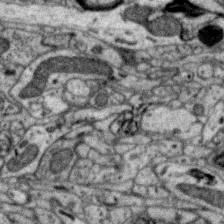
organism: Zebra finch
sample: Brain